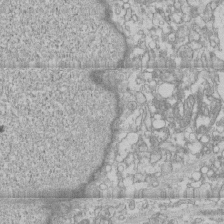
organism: Human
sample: CRL-1474